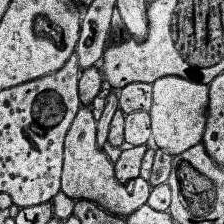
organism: Human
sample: Temporal Lobe